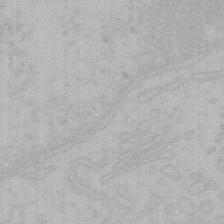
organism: Mouse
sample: Choroid plexus